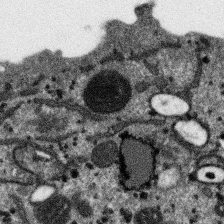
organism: Human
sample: Lung epithelial cells infected with SARS-CoV-2